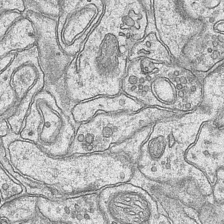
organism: Mouse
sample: CA1 Hippocampus